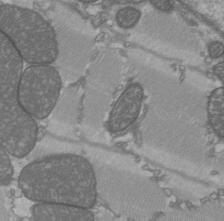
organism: C57BL Mouse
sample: Heart